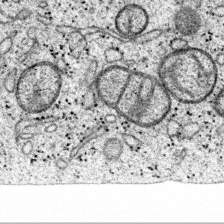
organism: Human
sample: HeLa cells